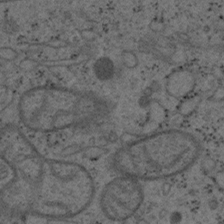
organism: Human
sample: HeLa cells